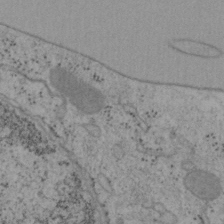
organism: Human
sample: HeLa cells